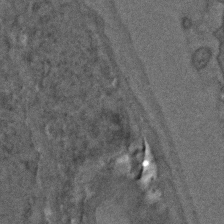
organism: C. elegans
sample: C. elegans embryo